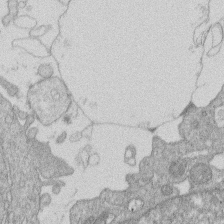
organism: Human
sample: Macrophage cells